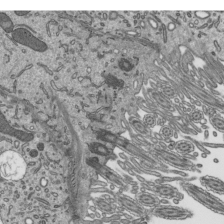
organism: Mouse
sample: Mouse epididymis efferent ductule cilia